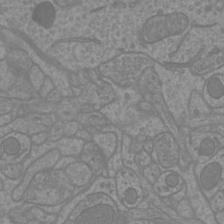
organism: Mouse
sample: Cortical neurons